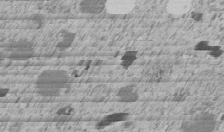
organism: C. elegans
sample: C. elegans embryo early stage